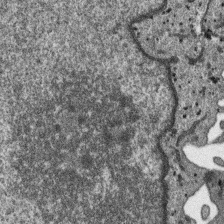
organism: Human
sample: Lung epithelial cells infected with SARS-CoV-2